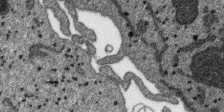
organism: Human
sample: Lung epithelial cells infected with SARS-CoV-2